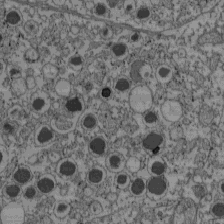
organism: C57BL Mouse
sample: Pancreatic islet